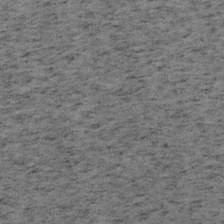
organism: Mouse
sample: OT-I killer T cells with ID8 ovarian cancer cells